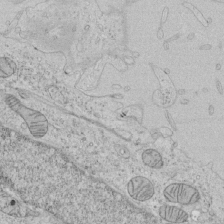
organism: Human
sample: Mitochondria in HCT116 cells